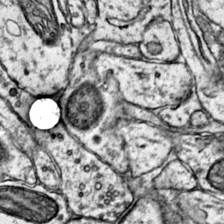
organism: Mouse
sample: Primary visual cortex